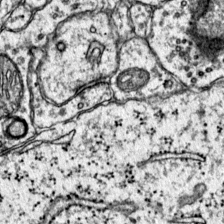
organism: Mouse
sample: Primary visual cortex